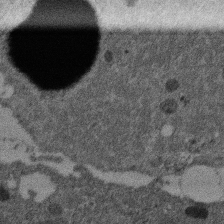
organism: Mouse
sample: Dividing mouse embryo 1 cell stage